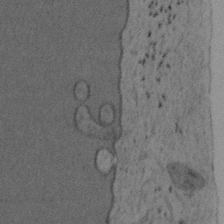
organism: Human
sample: HeLa cells